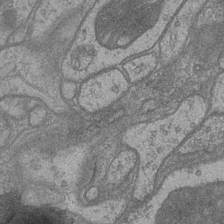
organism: Drosophila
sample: Optic medulla